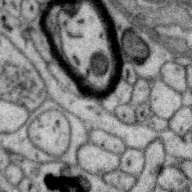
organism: Zebra finch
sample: Brain